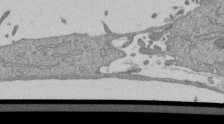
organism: Mouse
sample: ED-1 cell nuclei; centrioles